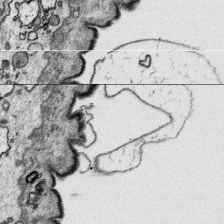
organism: Platynereis dumerilii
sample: Parapodia